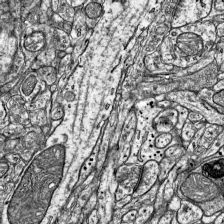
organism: Mouse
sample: Visual Cortex